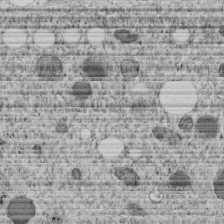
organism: C. elegans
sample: C. elegans embryo early stage